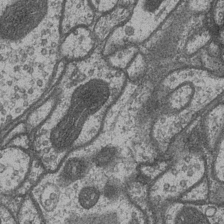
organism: Drosophila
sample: Optic medulla